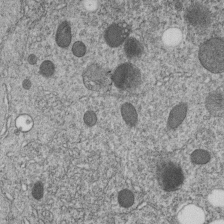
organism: C. elegans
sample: C. elegans embryo early stage